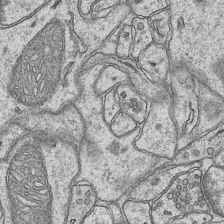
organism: Mouse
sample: CA1 Hippocampus